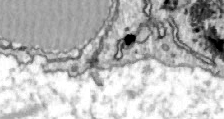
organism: Zebrafish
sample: Actinotrichia fibers